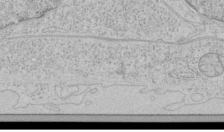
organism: Human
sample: Mitochondria in HCT116 cells